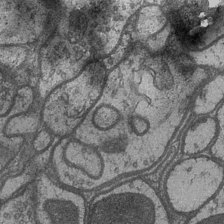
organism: Drosophila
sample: Optic medulla